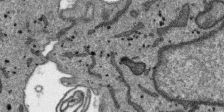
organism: Human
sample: Lung epithelial cells, uninfected (mock) control